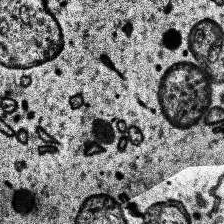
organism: Human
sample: Temporal Lobe